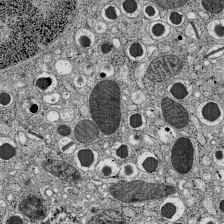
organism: C57BL Mouse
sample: Pancreatic islet